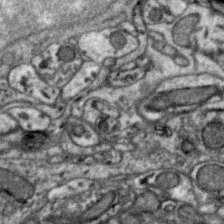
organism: Zebra finch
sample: Brain